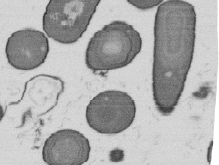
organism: B. subtilis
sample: Bacterial spore